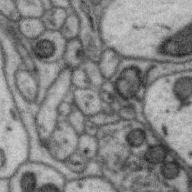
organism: Zebra finch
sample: Brain